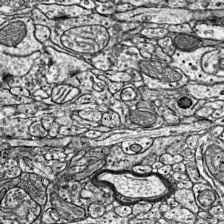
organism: Mouse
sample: Visual Cortex